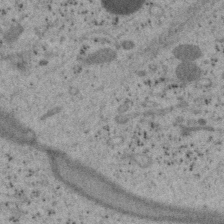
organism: Human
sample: HeLa cells